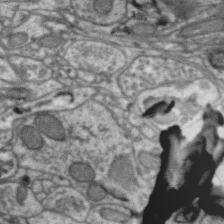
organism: Zebra finch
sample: Brain